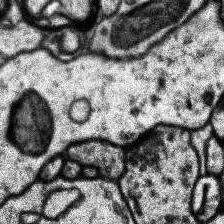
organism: Human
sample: Temporal Lobe